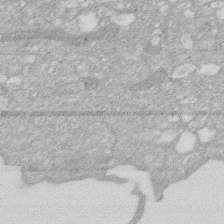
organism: Human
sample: HIV infected U937 cells